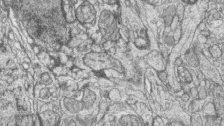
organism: Zebrafish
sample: synaptic ribbons in rod cells and cone cells